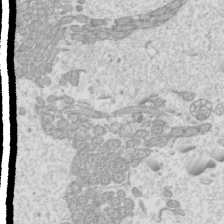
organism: Mouse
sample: Cilia; mouse epididymis